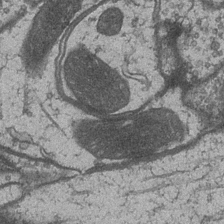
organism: Drosophila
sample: Optic medulla